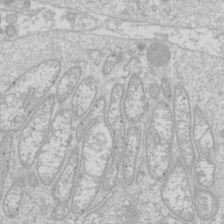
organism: Drosophila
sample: Cell division; meiosis; drosophila spermatocytes